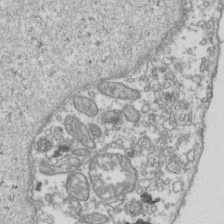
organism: Human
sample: Activated Jurkat CD4+ T cells